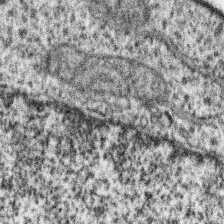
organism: Human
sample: HeLa cells